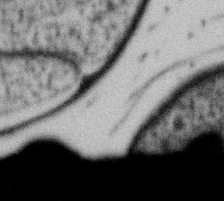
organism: Gemmata obscuriglobus